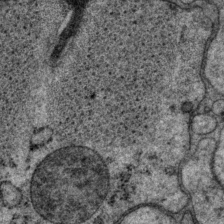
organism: P. pacificus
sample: Pharynx